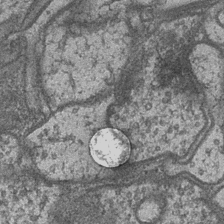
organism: Drosophila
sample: Optic medulla